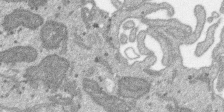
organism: Human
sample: Lung epithelial cells infected with SARS-CoV-2